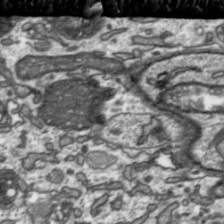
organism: Toxoplasma gondii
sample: Parasites in a vacuole inside a host cell